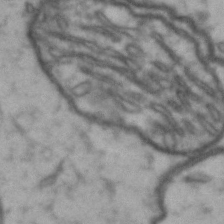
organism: Drosophila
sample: Brain